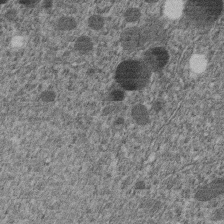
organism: C. elegans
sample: C. elegans embryo early stage